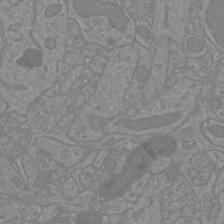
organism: Mouse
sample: Cortical neurons